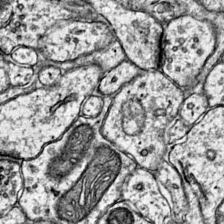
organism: Mouse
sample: Primary visual cortex